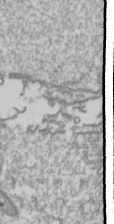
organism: Drosophila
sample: Cell division; meiosis; drosophila spermatocytes